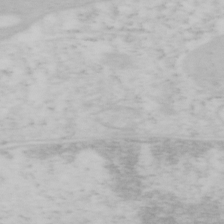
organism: Mouse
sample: OT-I killer T cells with ID8 ovarian cancer cells